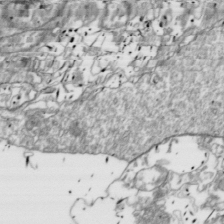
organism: Drosophila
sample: Cell division; meiosis; drosophila spermatocytes